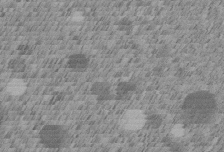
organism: C. elegans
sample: C. elegans embryo early stage